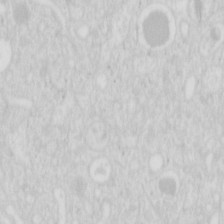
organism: Mouse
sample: Pancreas